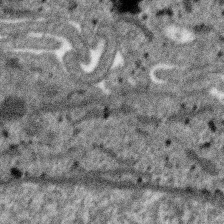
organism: Human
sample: Lung epithelial cells infected with SARS-CoV-2